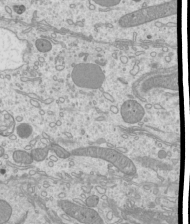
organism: Mouse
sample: Cilia; mouse epididymis